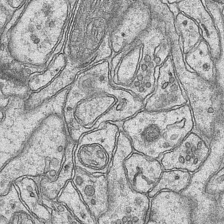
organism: Mouse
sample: CA1 Hippocampus